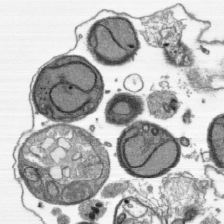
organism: Plasmodium falciparum